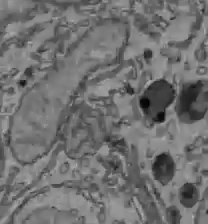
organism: C57BL Mouse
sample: Liver